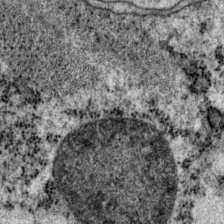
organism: P. pacificus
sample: Pharynx